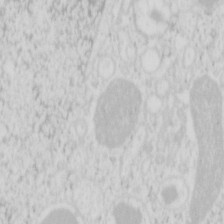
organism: Mouse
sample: Pancreas